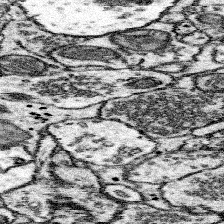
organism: Mouse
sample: Somatosensory cortex neuropil